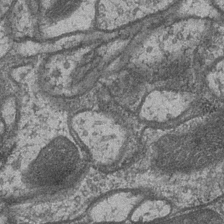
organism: Drosophila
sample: Optic medulla